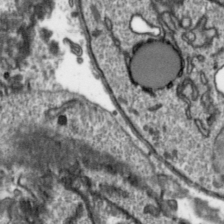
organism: Toxoplasma gondii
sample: Parasites in a vacuole inside a host cell